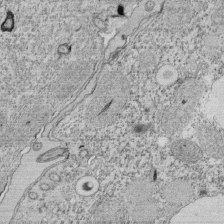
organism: Tetrahymena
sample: Cilia in tetrahymena